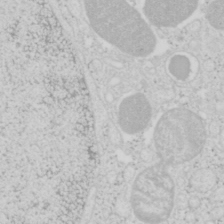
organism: Mouse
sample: Pancreas